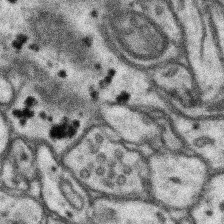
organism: Mouse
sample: Somatosensory cortex neuropil